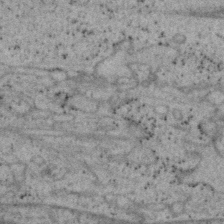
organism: Human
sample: HeLa cells